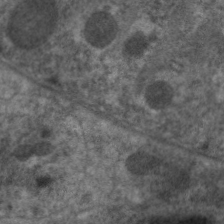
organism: C. elegans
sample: Pharynx